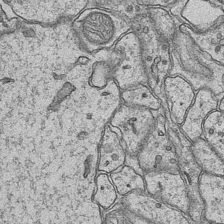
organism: Mouse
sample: CA1 Hippocampus